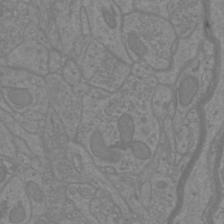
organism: Mouse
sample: Cortical neurons